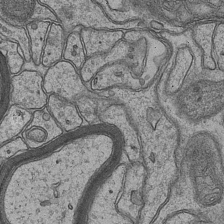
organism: Mouse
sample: CA1 Hippocampus